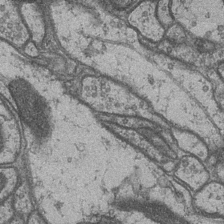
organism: Drosophila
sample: Optic medulla